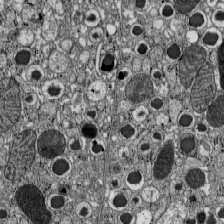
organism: C57BL Mouse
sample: Pancreatic islet